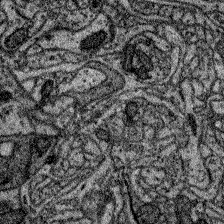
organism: Zebrafish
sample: Larval olfactory bulb